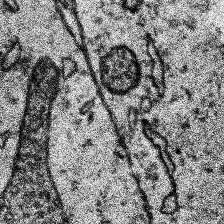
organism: Human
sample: Temporal Lobe